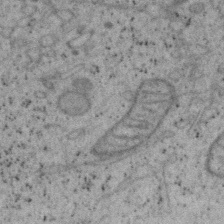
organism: Human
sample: HeLa cells